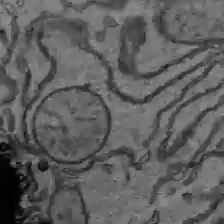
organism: C57BL Mouse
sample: Liver